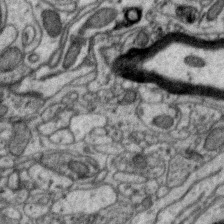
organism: Zebra finch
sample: Brain